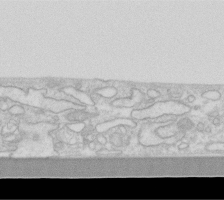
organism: Human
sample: Fibroblast cells